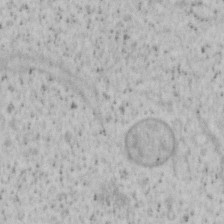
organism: Human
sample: HeLa cells